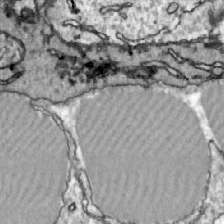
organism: Zebrafish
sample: Actinotrichia fibers